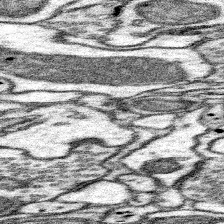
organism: Mouse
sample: Somatosensory cortex neuropil